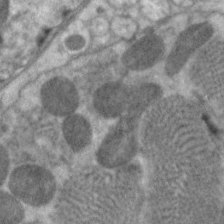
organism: C. elegans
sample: Pharynx